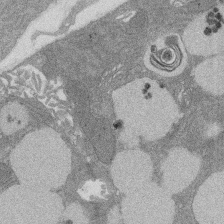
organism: Rat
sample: Salivary granule